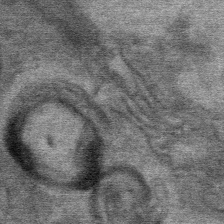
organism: Mouse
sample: Mouse Salivary gland